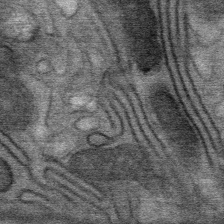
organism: Mouse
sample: Mouse Salivary gland